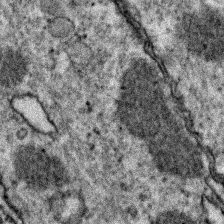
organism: Zebrafish